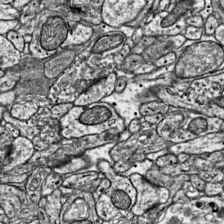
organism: Mouse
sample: Visual Cortex